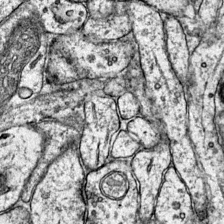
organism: Mouse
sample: Primary visual cortex